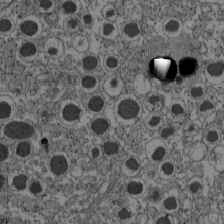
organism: C57BL Mouse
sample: Pancreatic islet